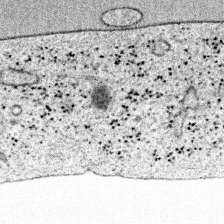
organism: Human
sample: HeLa cells